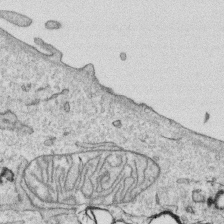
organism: Human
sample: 1205lu cells